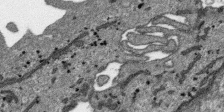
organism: Human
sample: Lung epithelial cells, uninfected (mock) control